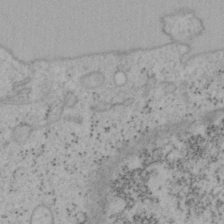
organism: Human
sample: HeLa cells